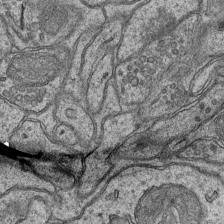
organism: Mouse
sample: CA1 Hippocampus